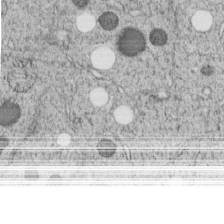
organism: C. elegans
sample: C. elegans embryo early stage